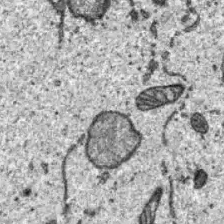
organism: Human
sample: HeLa cells